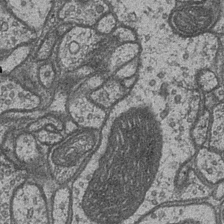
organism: Drosophila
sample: Optic medulla